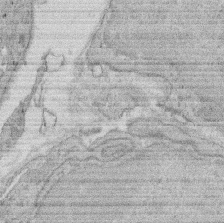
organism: Rat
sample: Salivary granule